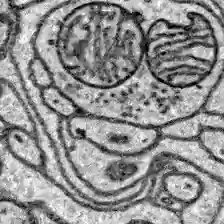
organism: Zebrafish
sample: Brain